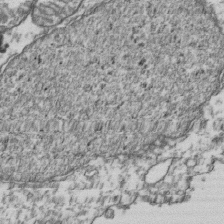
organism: Human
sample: Activated Jurkat CD4+ T cells